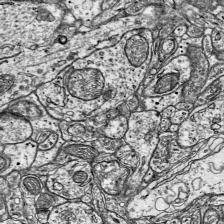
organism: Mouse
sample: Visual Cortex